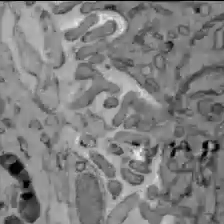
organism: C57BL Mouse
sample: Liver